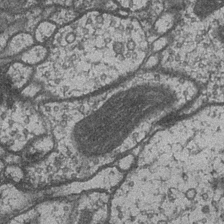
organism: Drosophila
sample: Optic medulla